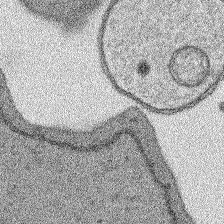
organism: Human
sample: HeLa cells